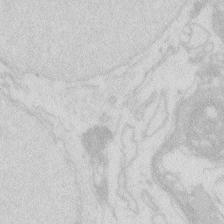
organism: Zebrafish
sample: Macrophage